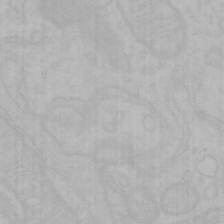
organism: Mouse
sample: Choroid plexus